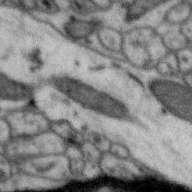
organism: Zebra finch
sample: Brain